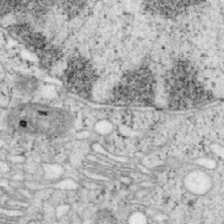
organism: Mouse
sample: OT-I killer T cells with ID8 ovarian cancer cells